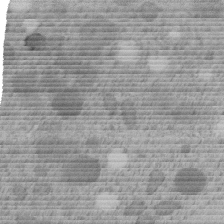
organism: C. elegans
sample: C. elegans embryo early stage